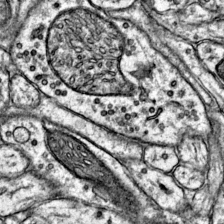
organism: Mouse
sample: Primary visual cortex